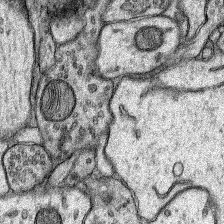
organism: Rat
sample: Hippocampus